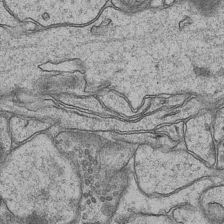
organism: Mouse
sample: CA1 Hippocampus